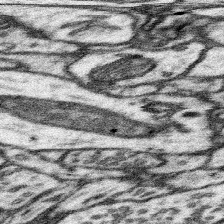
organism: Mouse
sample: Somatosensory cortex neuropil